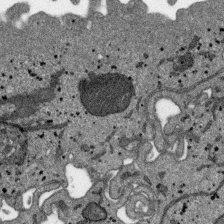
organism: Human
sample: Lung epithelial cells, uninfected (mock) control